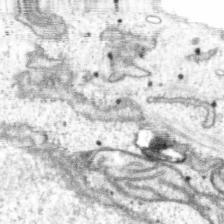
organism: Human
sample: HeLa cells